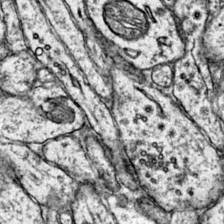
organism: Mouse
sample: Primary visual cortex